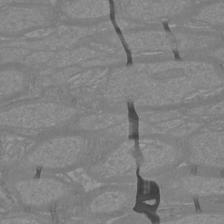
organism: Mouse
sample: Cortical neurons